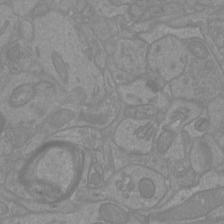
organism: Mouse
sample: Cortical neurons